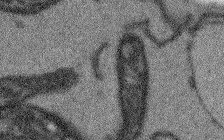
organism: Arabidopsis thaliana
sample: Root tip